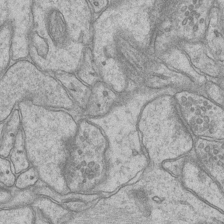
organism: Mouse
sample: CA1 Hippocampus